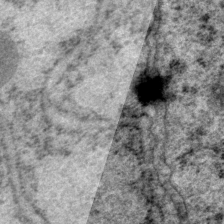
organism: P. pacificus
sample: Pharynx